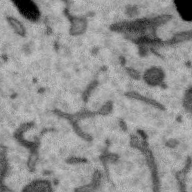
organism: Zebra finch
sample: Brain